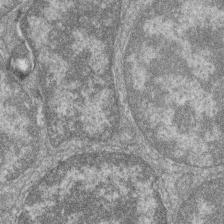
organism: Zebrafish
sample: Cilia; retinal pigment epithelium